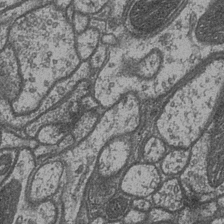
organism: Drosophila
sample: Optic medulla